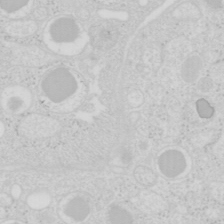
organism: Mouse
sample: Pancreas